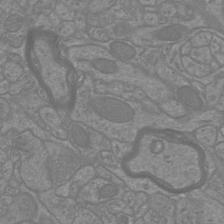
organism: Mouse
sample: Cortical neurons